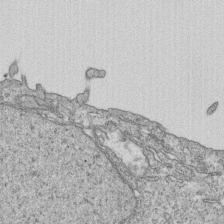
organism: Human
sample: HeLa cell HIV synapse